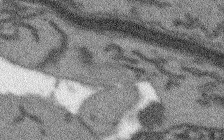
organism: Arabidopsis thaliana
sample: Root tip